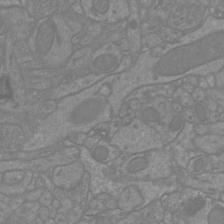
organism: Mouse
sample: Cortical neurons